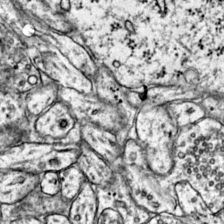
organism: Mouse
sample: Primary visual cortex